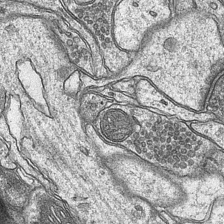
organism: Mouse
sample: CA1 Hippocampus